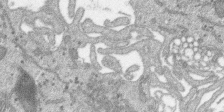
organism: Human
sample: Lung epithelial cells infected with SARS-CoV-2